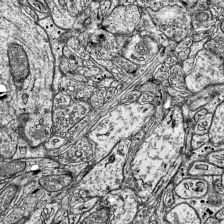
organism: Mouse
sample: Visual Cortex